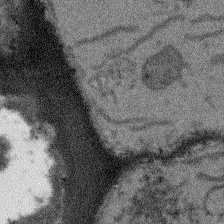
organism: Arabidopsis thaliana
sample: Root tip